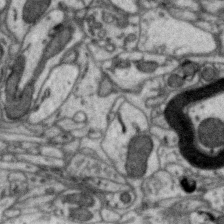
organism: Zebra finch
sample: Brain